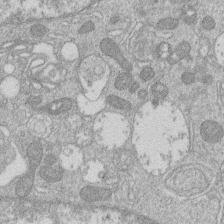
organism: Human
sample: Macrophage cells